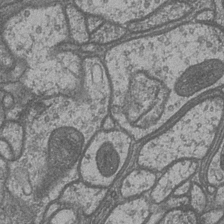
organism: Drosophila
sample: Optic medulla